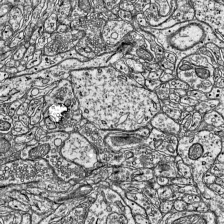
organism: Mouse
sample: Visual Cortex